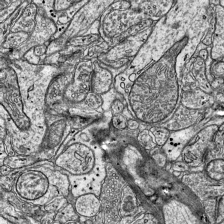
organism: Mouse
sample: Visual Cortex